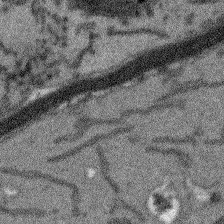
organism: Arabidopsis thaliana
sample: Root tip